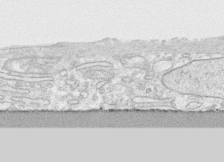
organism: Human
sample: CRL-1474